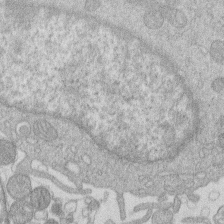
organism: Human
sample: Macrophage cells